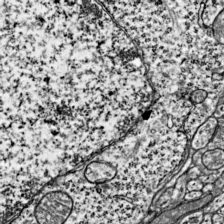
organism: Mouse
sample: Visual Cortex